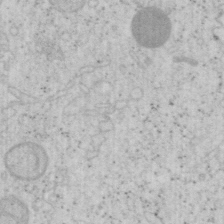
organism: Human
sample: HeLa cells